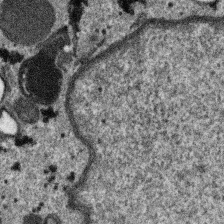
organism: Human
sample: Lung epithelial cells infected with SARS-CoV-2